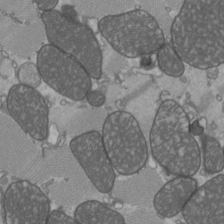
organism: C57BL Mouse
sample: Heart